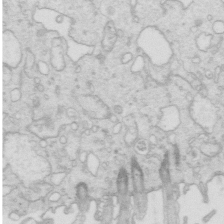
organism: Mouse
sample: Multiciliated cells